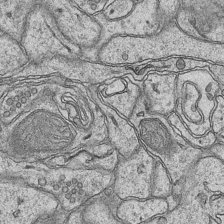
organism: Mouse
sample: CA1 Hippocampus